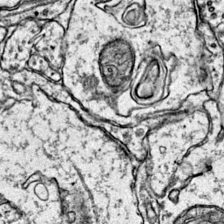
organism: Mouse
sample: Primary visual cortex